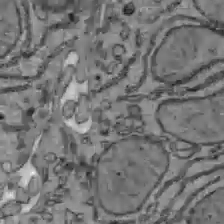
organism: C57BL Mouse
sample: Liver